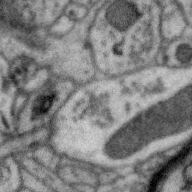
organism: Zebra finch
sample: Brain